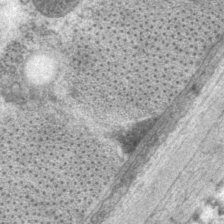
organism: P. pacificus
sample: Pharynx